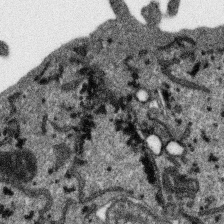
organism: Human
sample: Lung epithelial cells infected with SARS-CoV-2